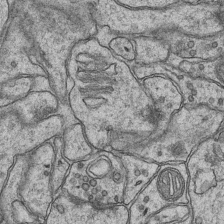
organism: Mouse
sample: CA1 Hippocampus